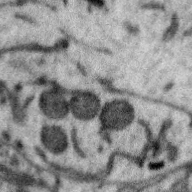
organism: Zebra finch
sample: Brain